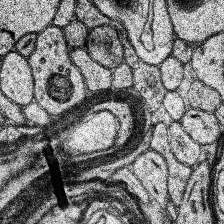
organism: Human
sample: Temporal Lobe